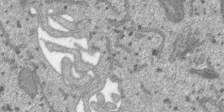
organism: Human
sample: Lung epithelial cells infected with SARS-CoV-2